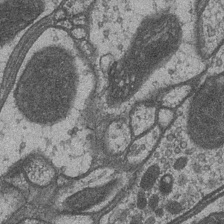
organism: Drosophila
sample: Optic medulla